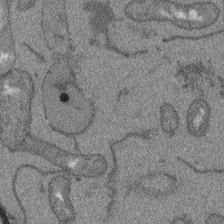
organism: Arabidopsis thaliana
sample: Root tip